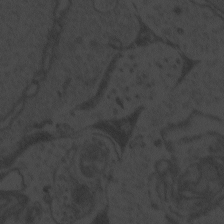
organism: Zebrafish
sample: Macrophage infected with Toxoplasma gondii